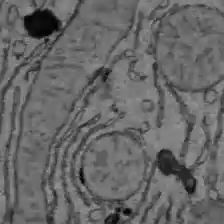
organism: C57BL Mouse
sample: Liver